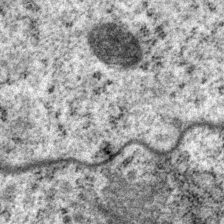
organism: P. pacificus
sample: Pharynx